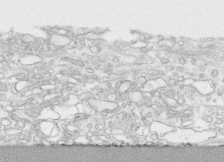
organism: Human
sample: CRL-1474